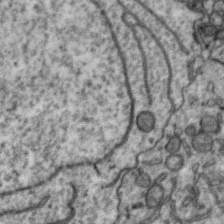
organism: Zebra finch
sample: Brain